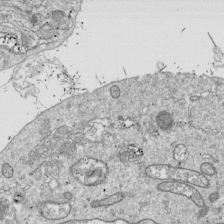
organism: Drosophila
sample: Cell division; meiosis; drosophila spermatocytes